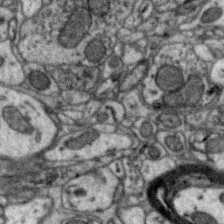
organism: Zebra finch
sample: Brain